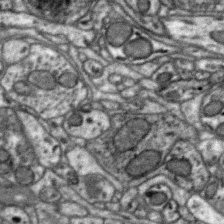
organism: Zebra finch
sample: Brain